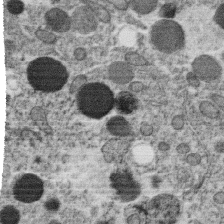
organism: C. elegans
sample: C. elegans oocyte; sperm cells